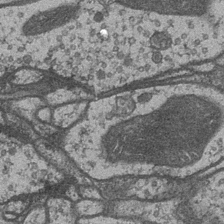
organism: Drosophila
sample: Optic medulla